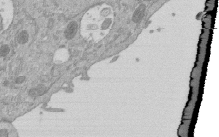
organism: Mouse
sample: ED-1 cell nuclei; centrioles